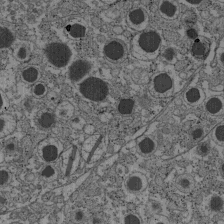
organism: C57BL Mouse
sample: Pancreatic islet